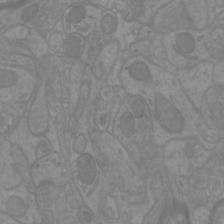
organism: Mouse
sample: Cortical neurons